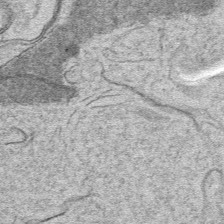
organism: Mouse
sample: Mouse hepatocytes